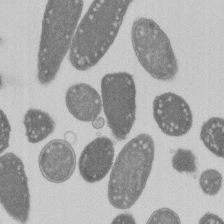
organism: E. coli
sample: Bacterial nucleoid